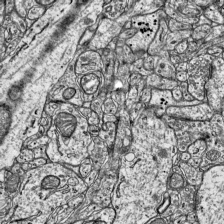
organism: Mouse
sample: Visual Cortex